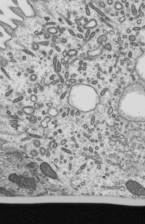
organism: Mouse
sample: Mouse epididymis efferent ductule cilia